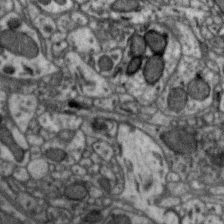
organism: Zebra finch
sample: Brain